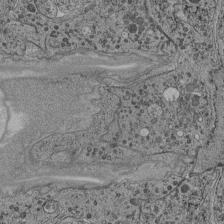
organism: C. elegans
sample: C. elegans pharynx